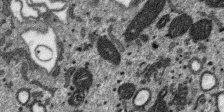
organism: Human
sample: Lung epithelial cells infected with SARS-CoV-2